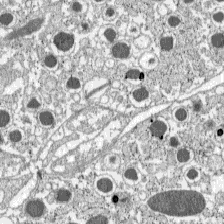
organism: C57BL Mouse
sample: Pancreatic islet